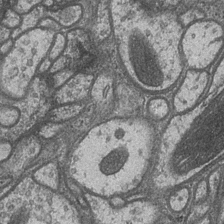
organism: Drosophila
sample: Optic medulla